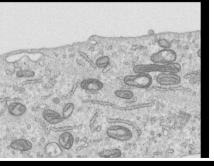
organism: Human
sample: Centriole in RPE cells